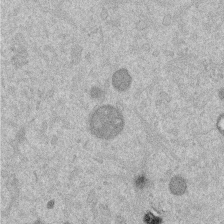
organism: Mouse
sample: Dividing mouse embryo 1 cell stage